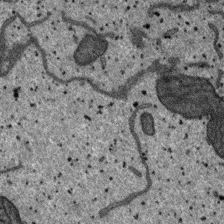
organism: Human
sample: Lung epithelial cells, uninfected (mock) control